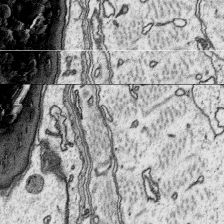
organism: Platynereis dumerilii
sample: Parapodia